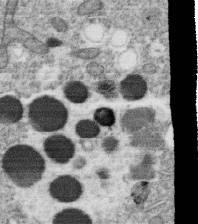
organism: C. elegans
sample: C. elegans oocyte; sperm cells